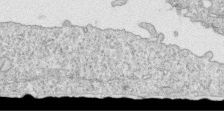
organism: Human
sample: HeLa cell HIV synapse